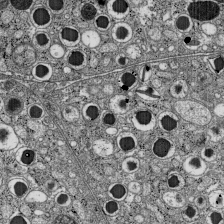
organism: C57BL Mouse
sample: Pancreatic islet